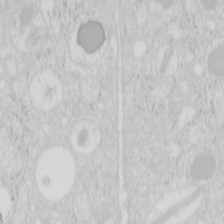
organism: Mouse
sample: Pancreas